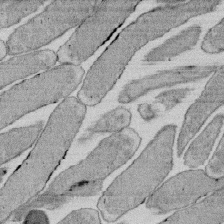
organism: E. coli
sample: Bacterial nucleoid